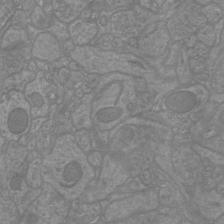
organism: Mouse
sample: Cortical neurons